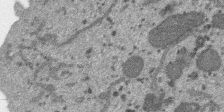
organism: Human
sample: Lung epithelial cells infected with SARS-CoV-2